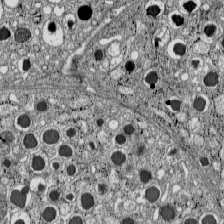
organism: C57BL Mouse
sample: Pancreatic islet